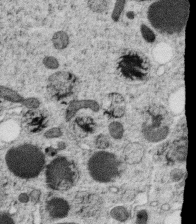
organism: C. elegans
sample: C. elegans oocyte; sperm cells